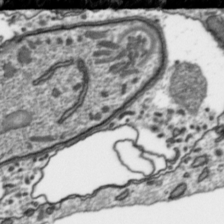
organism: Toxoplasma gondii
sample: Parasites in a vacuole inside a host cell